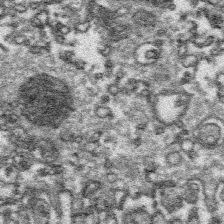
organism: Platynereis dumerilii